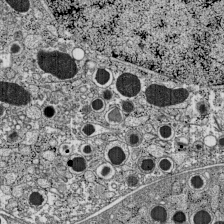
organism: C57BL Mouse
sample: Pancreatic islet